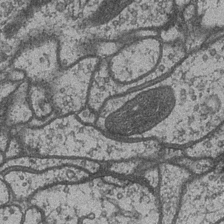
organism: Drosophila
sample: Optic medulla